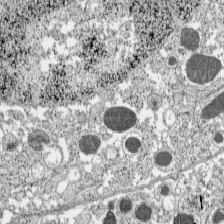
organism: C57BL Mouse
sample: Pancreatic islet